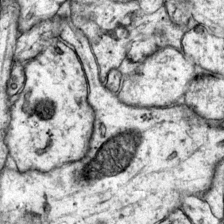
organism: Mouse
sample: Primary visual cortex